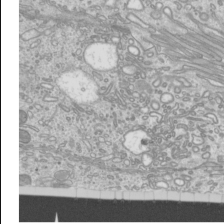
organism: Mouse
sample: Cilia; mouse epididymis